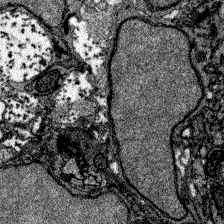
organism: Zebrafish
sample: Larval olfactory bulb